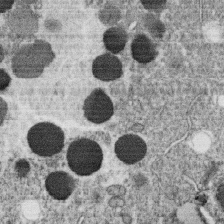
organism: C. elegans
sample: C. elegans oocyte; sperm cells